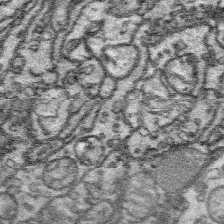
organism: Platynereis dumerilii